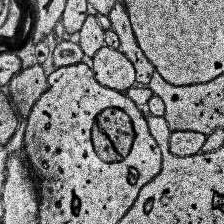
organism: Human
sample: Temporal Lobe